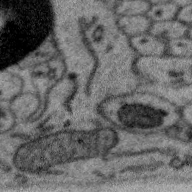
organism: Zebra finch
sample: Brain